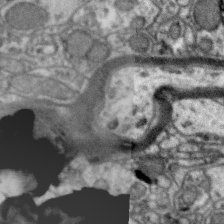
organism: Zebra finch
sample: Brain